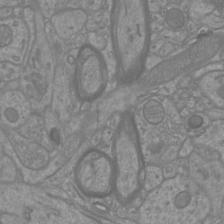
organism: Mouse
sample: Cortical neurons